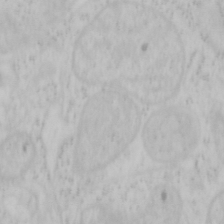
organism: Mouse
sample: OT-I killer T cells with ID8 ovarian cancer cells